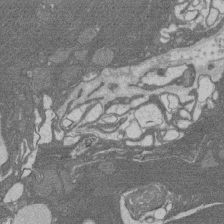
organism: Rat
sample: Salivary granule